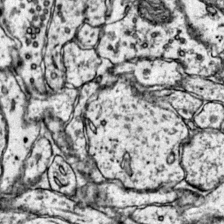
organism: Mouse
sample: Primary visual cortex